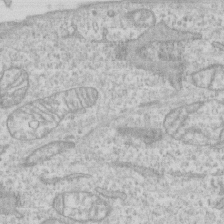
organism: Human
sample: CRL-1474